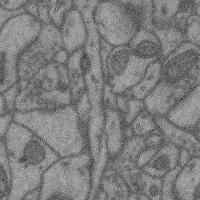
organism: Mouse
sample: Cerebral cortex